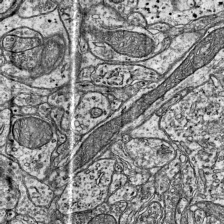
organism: Mouse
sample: Visual Cortex